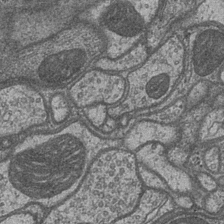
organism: Drosophila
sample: Optic medulla